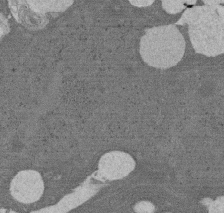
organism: Rat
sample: Salivary granule